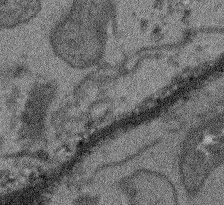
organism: Arabidopsis thaliana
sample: Root tip